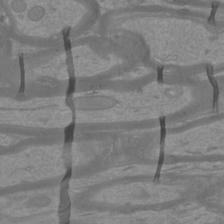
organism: Mouse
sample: Cortical neurons